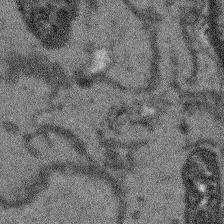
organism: Arabidopsis thaliana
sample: Root tip